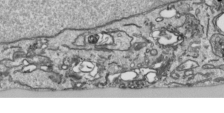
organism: Human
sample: Mitochondria in HCT116 cells